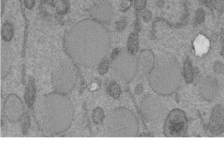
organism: C. elegans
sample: C. elegans embryo early stage